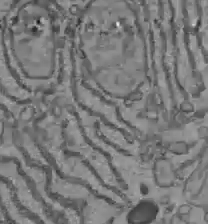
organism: C57BL Mouse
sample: Liver